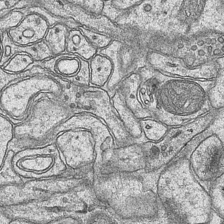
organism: Mouse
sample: CA1 Hippocampus